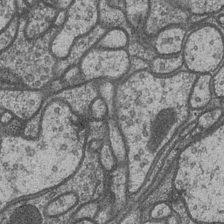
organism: Drosophila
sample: Optic medulla